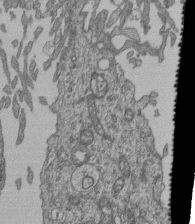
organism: Human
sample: Retinal organoid Rod and Cone cells